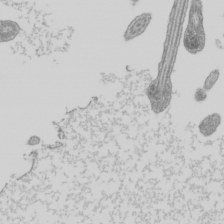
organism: Mouse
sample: Cilia; mouse epididymis